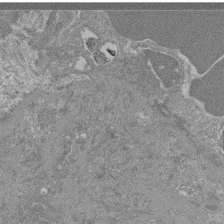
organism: Mouse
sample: Glomerulus